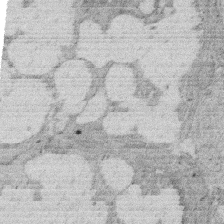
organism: Rat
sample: Salivary granule